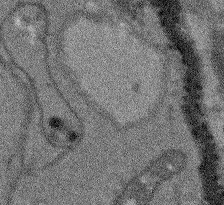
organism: Arabidopsis thaliana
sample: Root tip